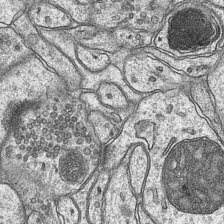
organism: Mouse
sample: CA1 Hippocampus